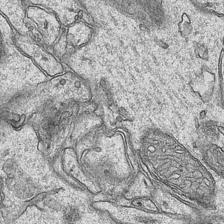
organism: Mouse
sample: CA1 Hippocampus